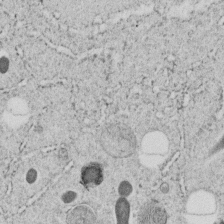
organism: C. elegans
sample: C. elegans embryo early stage